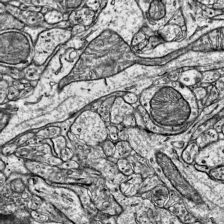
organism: Mouse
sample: Visual Cortex